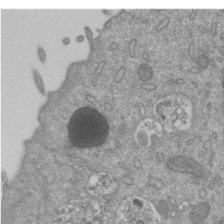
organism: Mouse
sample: ED-1 cell nuclei; centrioles